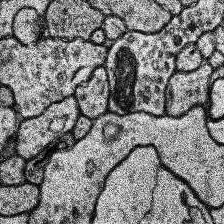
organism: Human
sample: Temporal Lobe